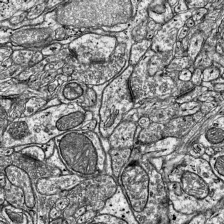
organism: Mouse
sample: Visual Cortex